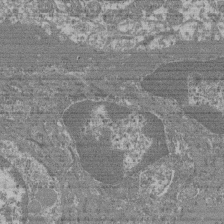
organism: Mouse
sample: Glomerulus